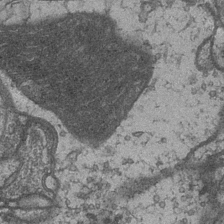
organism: Drosophila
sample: Optic medulla